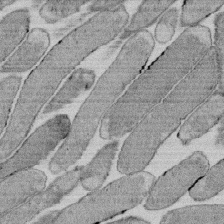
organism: E. coli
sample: Bacterial nucleoid